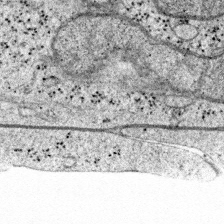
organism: Human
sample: HeLa cells